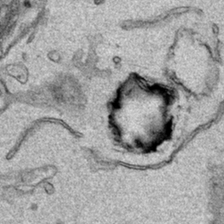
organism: Human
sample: Mitochondria in HCT116 cells